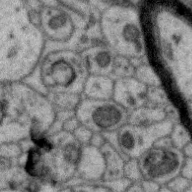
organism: Zebra finch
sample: Brain